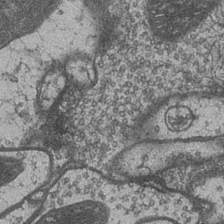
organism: Drosophila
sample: Optic medulla